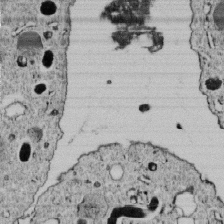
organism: C. elegans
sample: C. elegans embryo early stage